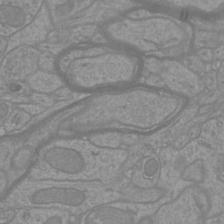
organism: Mouse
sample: Cortical neurons